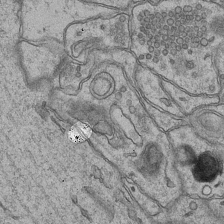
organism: Mouse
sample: CA1 Hippocampus